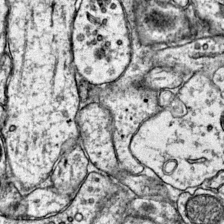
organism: Mouse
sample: Primary visual cortex